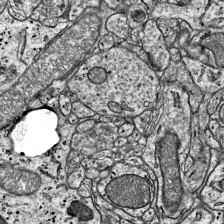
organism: Mouse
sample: Visual Cortex